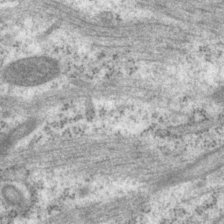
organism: P. pacificus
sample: Pharynx